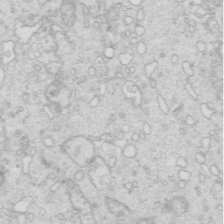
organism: Mouse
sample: Multiciliated cells